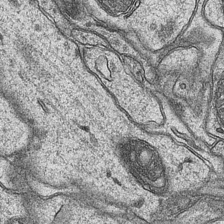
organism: Mouse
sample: CA1 Hippocampus